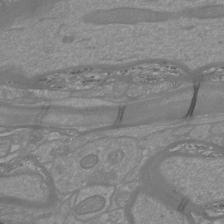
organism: Mouse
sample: Cortical neurons